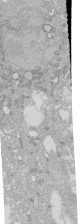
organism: Human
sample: Caco-2 cells